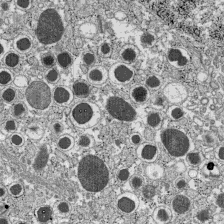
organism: C57BL Mouse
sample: Pancreatic islet